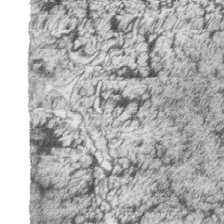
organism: Zebrafish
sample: synaptic ribbons in rod cells and cone cells